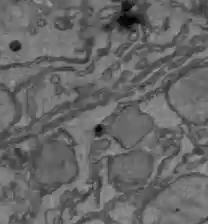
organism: C57BL Mouse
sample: Liver